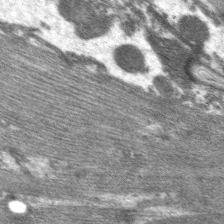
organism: C. elegans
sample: Pharynx